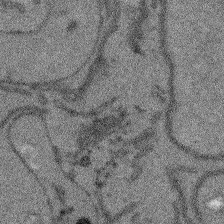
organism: Arabidopsis thaliana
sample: Root tip